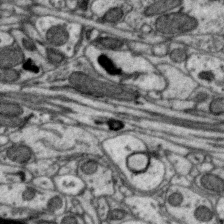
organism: Zebra finch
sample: Brain